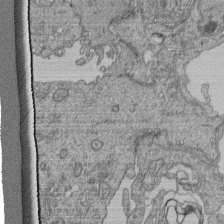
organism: Human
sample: Retinal organoid Rod and Cone cells